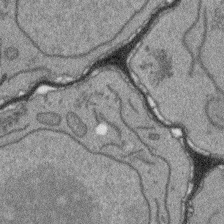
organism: Arabidopsis thaliana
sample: Root tip